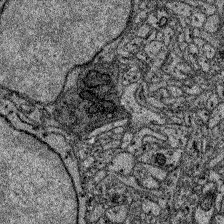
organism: Zebrafish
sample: Larval olfactory bulb